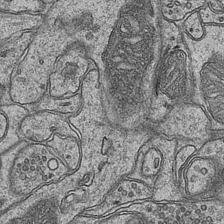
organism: Mouse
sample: CA1 Hippocampus